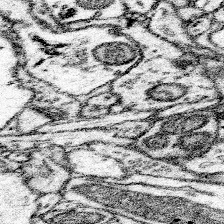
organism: Mouse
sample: Somatosensory cortex neuropil